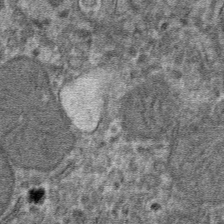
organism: Mouse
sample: Mouse hepatocytes